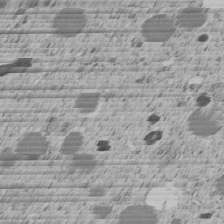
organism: C. elegans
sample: C. elegans embryo early stage